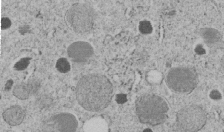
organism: C. elegans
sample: C. elegans embryo early stage